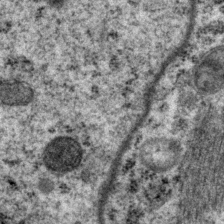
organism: P. pacificus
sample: Pharynx